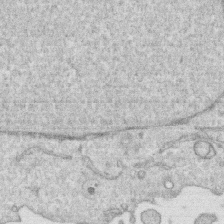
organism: Human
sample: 1205lu cells